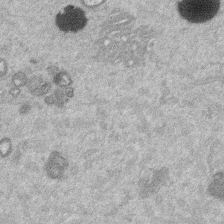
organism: Mouse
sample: Dividing mouse embryo 1 cell stage